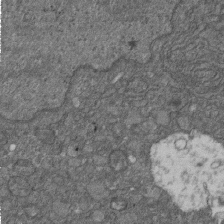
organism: Drosophila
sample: Nephrocyte